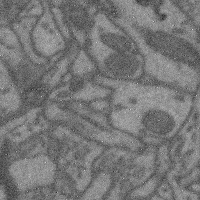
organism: Mouse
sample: Cerebral cortex